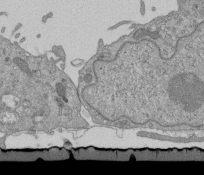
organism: Mouse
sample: ED-1 cell nuclei; centrioles